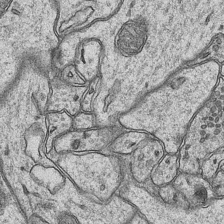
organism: Mouse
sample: CA1 Hippocampus